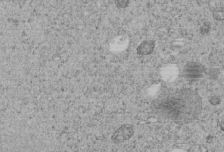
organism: C. elegans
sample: C. elegans embryo early stage